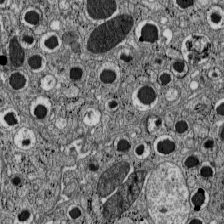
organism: C57BL Mouse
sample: Pancreatic islet